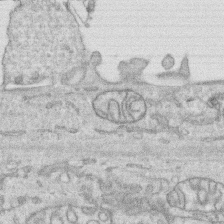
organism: Human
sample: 1205lu cells